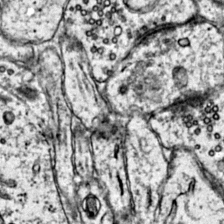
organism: Mouse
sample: Primary visual cortex